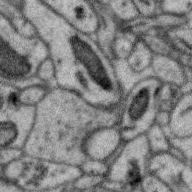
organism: Zebra finch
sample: Brain